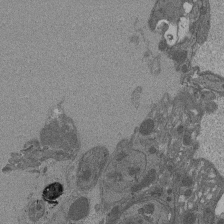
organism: Drosophila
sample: Antenna